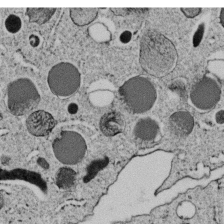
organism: C. elegans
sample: C. elegans embryo early stage